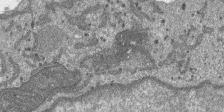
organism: Human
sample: Lung epithelial cells infected with SARS-CoV-2